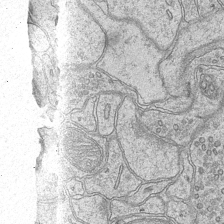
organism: Mouse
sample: CA1 Hippocampus